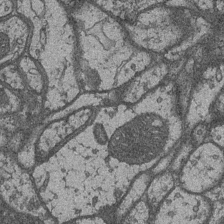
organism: Drosophila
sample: Optic medulla